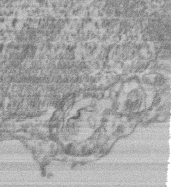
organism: Mouse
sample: T cell stromal cell synapse